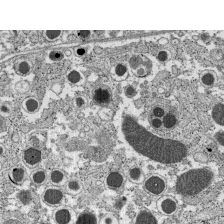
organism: C57BL Mouse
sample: Pancreatic islet